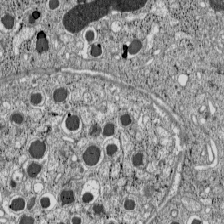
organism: C57BL Mouse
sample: Pancreatic islet